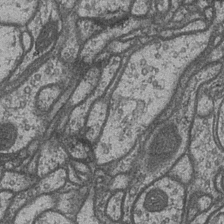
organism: Drosophila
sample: Optic medulla